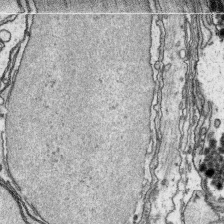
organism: Platynereis dumerilii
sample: Parapodia